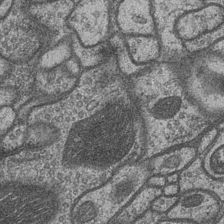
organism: Drosophila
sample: Optic medulla